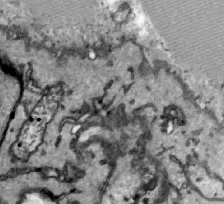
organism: Zebrafish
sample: Actinotrichia fibers